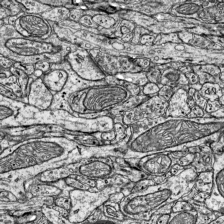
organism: Mouse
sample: Visual Cortex